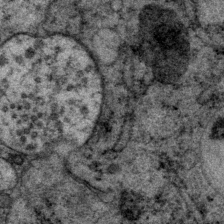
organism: P. pacificus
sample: Pharynx